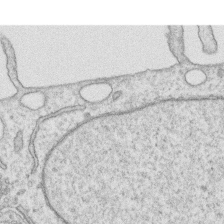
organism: Human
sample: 1205lu cells